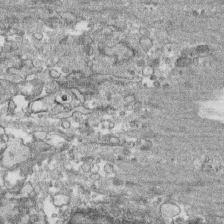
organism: Human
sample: CRL-1474